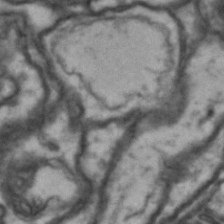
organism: Drosophila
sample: Brain